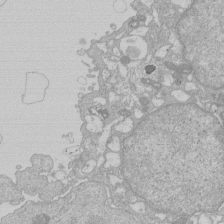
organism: Human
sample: Macrophage cells